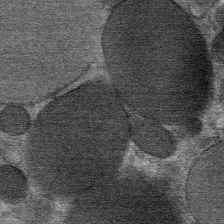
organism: Mouse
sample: Mouse Salivary gland